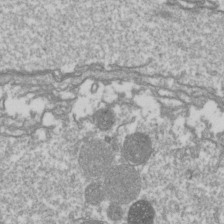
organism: Drosophila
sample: Cell division; meiosis; drosophila spermatocytes